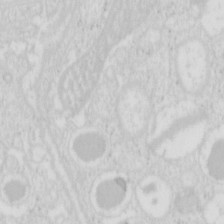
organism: Mouse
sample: Pancreas